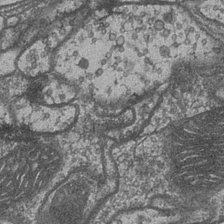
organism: Drosophila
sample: Optic medulla